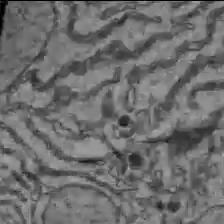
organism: C57BL Mouse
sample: Liver